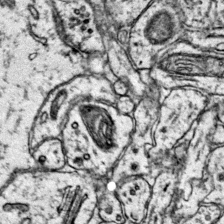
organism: Mouse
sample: Primary visual cortex